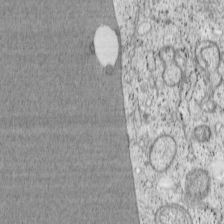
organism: African green monkey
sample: COS-7 cells